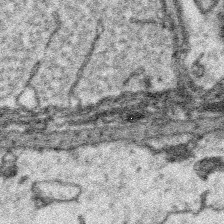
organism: Platynereis dumerilii